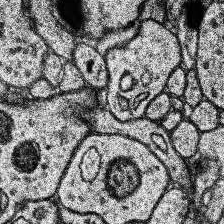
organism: Human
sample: Temporal Lobe